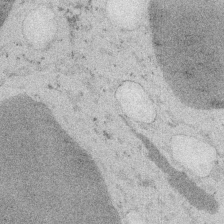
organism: Embia sp.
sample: Silk gland